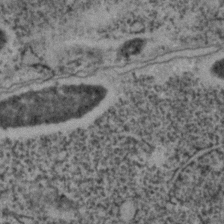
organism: C. elegans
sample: C. elegans embryo